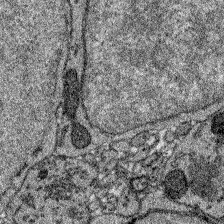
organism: Zebrafish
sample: Larval olfactory bulb